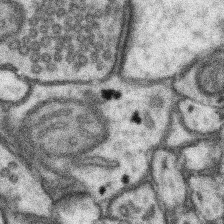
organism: Mouse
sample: Somatosensory cortex neuropil